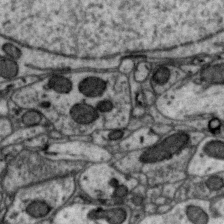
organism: Zebra finch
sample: Brain